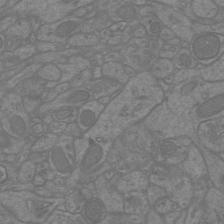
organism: Mouse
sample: Cortical neurons